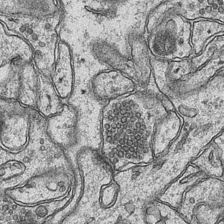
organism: Mouse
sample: CA1 Hippocampus